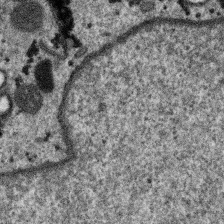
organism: Human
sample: Lung epithelial cells infected with SARS-CoV-2